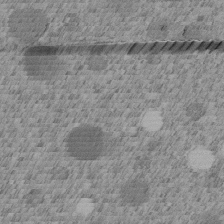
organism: C. elegans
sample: C. elegans embryo early stage